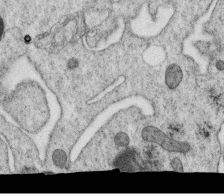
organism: C. elegans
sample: C. elegans oocyte; sperm cells